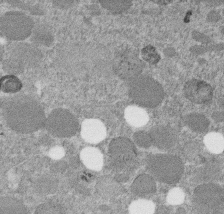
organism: C. elegans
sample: C. elegans embryo early stage